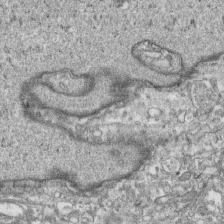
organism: Human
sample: CRL-1474